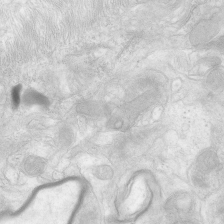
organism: Human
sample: Neocortex